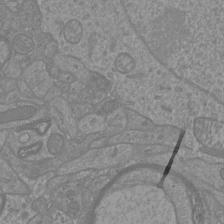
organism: Mouse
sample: Cortical neurons